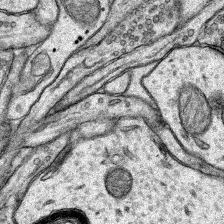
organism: Rat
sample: Hippocampus